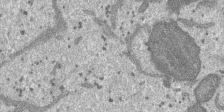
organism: Human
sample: Lung epithelial cells infected with SARS-CoV-2